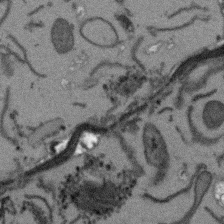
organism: Arabidopsis thaliana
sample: Root tip